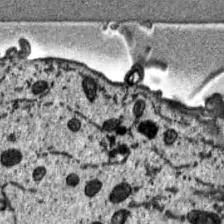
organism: Human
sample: HeLa cells